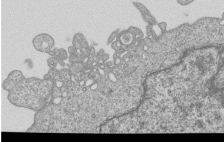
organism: Human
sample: MDA-MB-231 cells